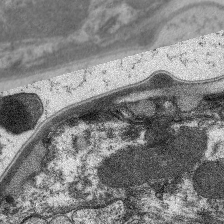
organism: C. elegans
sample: Pharynx